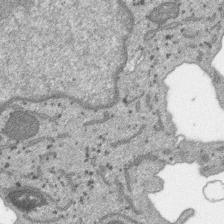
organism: Human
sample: Lung epithelial cells infected with SARS-CoV-2